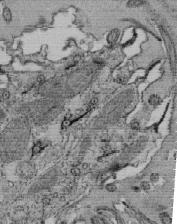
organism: Tetrahymena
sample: Cilia in tetrahymena